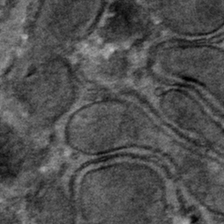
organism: Mouse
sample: Mouse hepatocytes